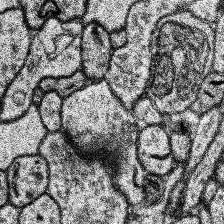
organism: Human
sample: Temporal Lobe